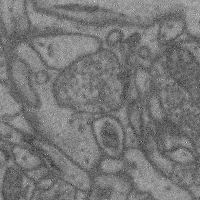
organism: Mouse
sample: Cerebral cortex